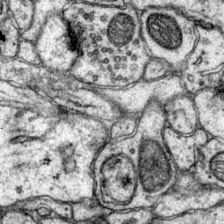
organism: Mouse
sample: Primary visual cortex